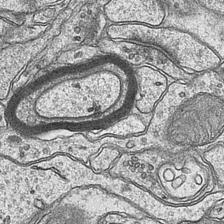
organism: Mouse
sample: CA1 Hippocampus